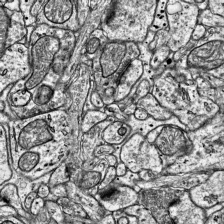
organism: Mouse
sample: Visual Cortex